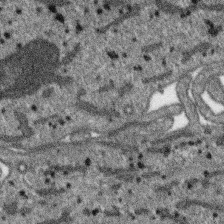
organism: Human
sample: Lung epithelial cells infected with SARS-CoV-2